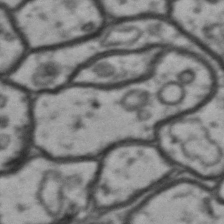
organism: Drosophila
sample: Brain